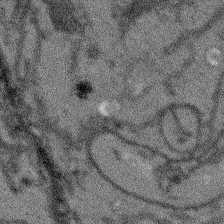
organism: Arabidopsis thaliana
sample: Root tip